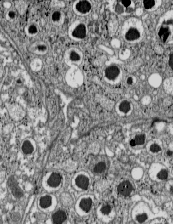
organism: C57BL Mouse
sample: Pancreatic islet